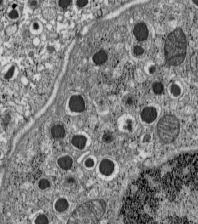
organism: C57BL Mouse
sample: Pancreatic islet